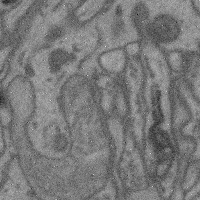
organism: Mouse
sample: Cerebral cortex